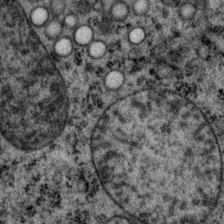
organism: P. pacificus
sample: Pharynx